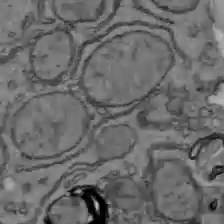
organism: C57BL Mouse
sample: Liver